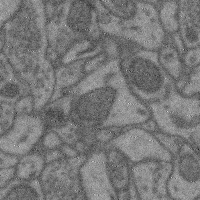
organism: Mouse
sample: Cerebral cortex